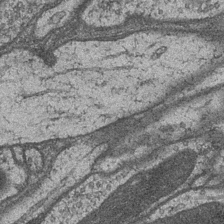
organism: Drosophila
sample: Optic medulla